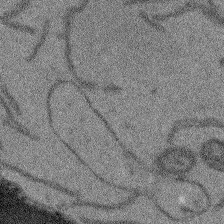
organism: Arabidopsis thaliana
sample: Root tip